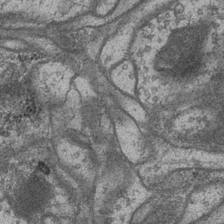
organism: Drosophila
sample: Optic medulla